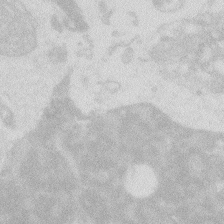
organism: Zebrafish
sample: Macrophage